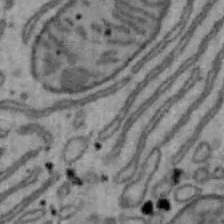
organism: Mouse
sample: Liver